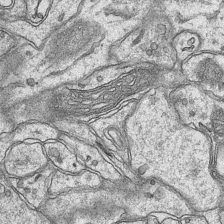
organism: Mouse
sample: CA1 Hippocampus